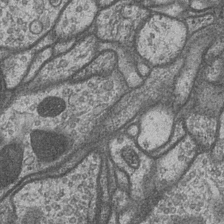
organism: Drosophila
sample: Optic medulla